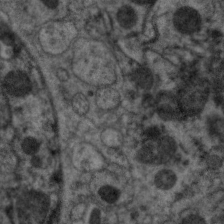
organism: C. elegans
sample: Pharynx